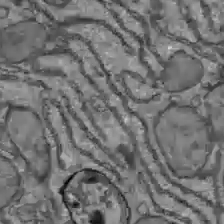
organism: C57BL Mouse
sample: Liver